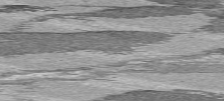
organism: C57BL Mouse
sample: Heart